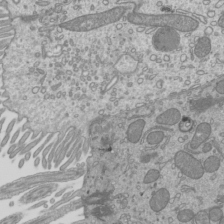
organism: Mouse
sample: Cilia; mouse epididymis